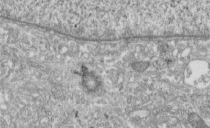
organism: Human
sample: Centriole in fibroblast cells